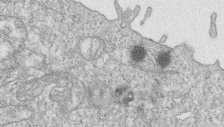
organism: Human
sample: HeLa cell HIV synapse